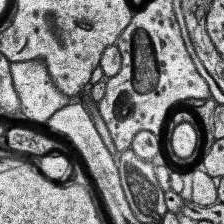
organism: Human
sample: Temporal Lobe